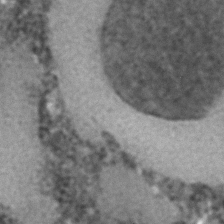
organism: C. elegans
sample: C. elegans embryo